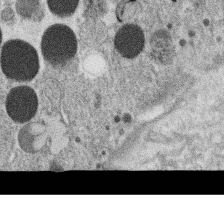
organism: C. elegans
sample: C. elegans oocyte; sperm cells